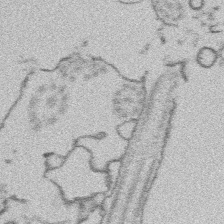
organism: Platynereis dumerilii